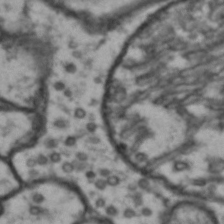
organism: Drosophila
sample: Brain